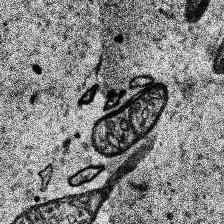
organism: Human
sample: Temporal Lobe